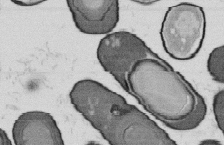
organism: B. subtilis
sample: Bacterial spore